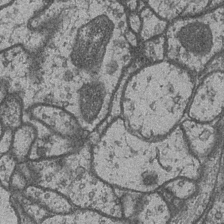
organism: Drosophila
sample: Optic medulla